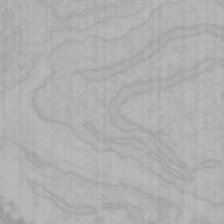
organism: Mouse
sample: Choroid plexus